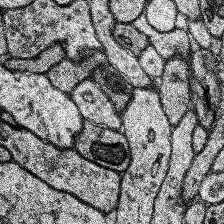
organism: Human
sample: Temporal Lobe